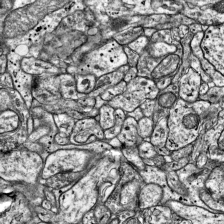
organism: Mouse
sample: Visual Cortex